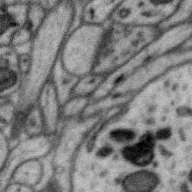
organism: Zebra finch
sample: Brain